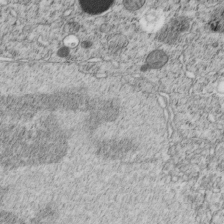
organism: C. elegans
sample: C. elegans embryo early stage